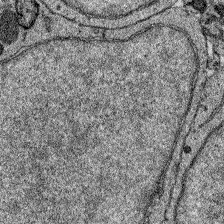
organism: Zebrafish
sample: Larval olfactory bulb